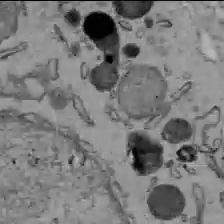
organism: C57BL Mouse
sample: Liver